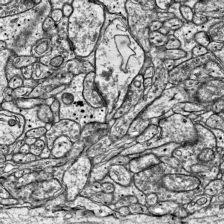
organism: Mouse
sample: Visual Cortex